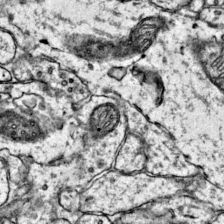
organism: Mouse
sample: Primary visual cortex